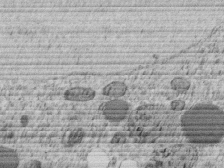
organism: C. elegans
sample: C. elegans embryo early stage